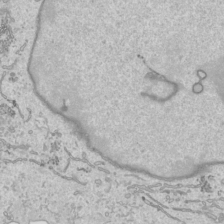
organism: Human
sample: Mitochondria in HCT116 cells